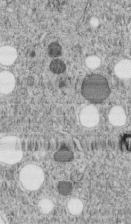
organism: C. elegans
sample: C. elegans embryo early stage